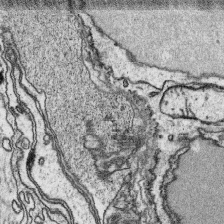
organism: Platynereis dumerilii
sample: Parapodia